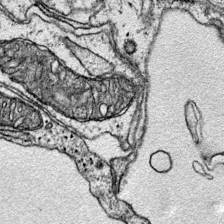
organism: Mouse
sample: Primary visual cortex